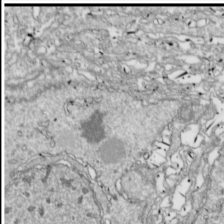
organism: Drosophila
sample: Cell division; meiosis; drosophila spermatocytes